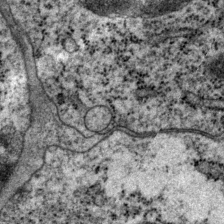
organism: P. pacificus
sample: Pharynx